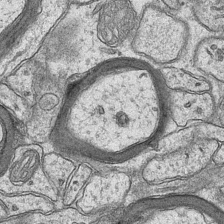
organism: Mouse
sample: CA1 Hippocampus